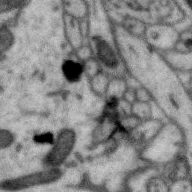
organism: Zebra finch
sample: Brain